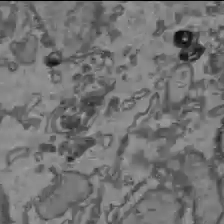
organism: C57BL Mouse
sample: Liver